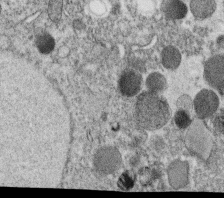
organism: C. elegans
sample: C. elegans oocyte; sperm cells